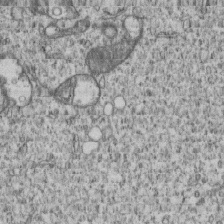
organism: Human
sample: MDA-MB-231 cells